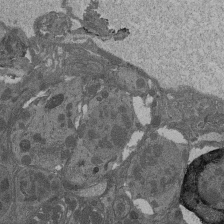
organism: Drosophila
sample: Antenna